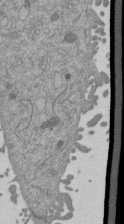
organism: Mouse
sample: ED-1 cell nuclei; centrioles